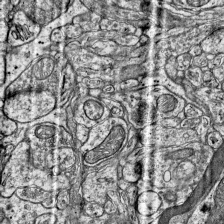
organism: Mouse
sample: Visual Cortex